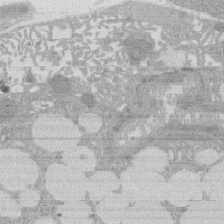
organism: Rat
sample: Salivary granule